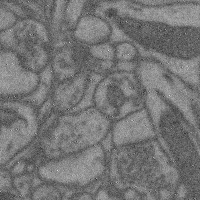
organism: Mouse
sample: Cerebral cortex